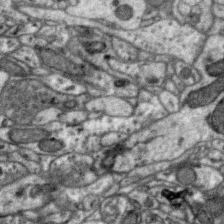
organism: Zebra finch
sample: Brain